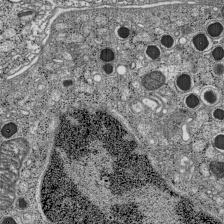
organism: C57BL Mouse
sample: Pancreatic islet